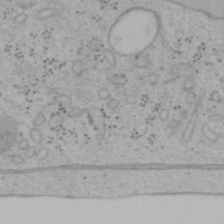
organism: Human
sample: HeLa cells